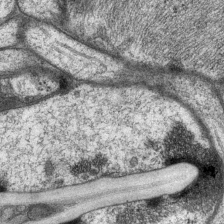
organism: P. pacificus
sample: Pharynx